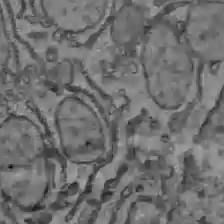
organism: C57BL Mouse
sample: Liver